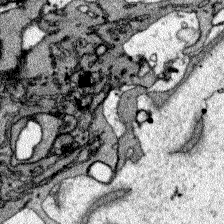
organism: Zebrafish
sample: Larval olfactory bulb